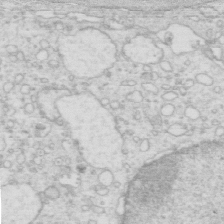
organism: Mouse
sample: Multiciliated cells